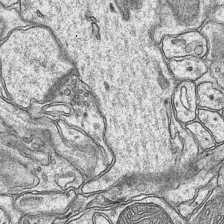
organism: Mouse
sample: CA1 Hippocampus